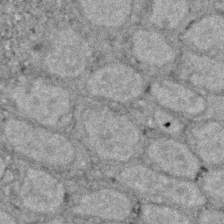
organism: Zebrafish